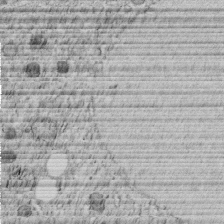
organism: C. elegans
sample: C. elegans embryo early stage